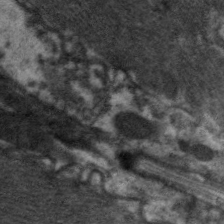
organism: C. elegans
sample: Pharynx